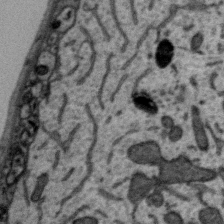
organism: Zebra finch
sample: Brain